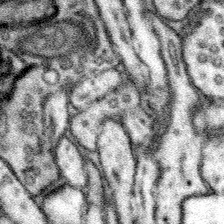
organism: Mouse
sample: Somatosensory cortex neuropil